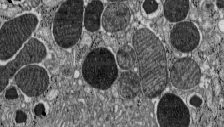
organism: C57BL Mouse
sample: Pancreatic islet